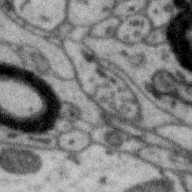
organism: Zebra finch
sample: Brain